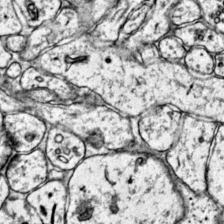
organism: Mouse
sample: Primary visual cortex